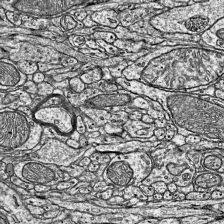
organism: Mouse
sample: Visual Cortex